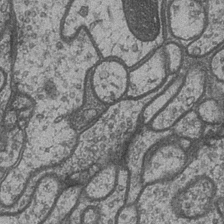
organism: Drosophila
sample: Optic medulla